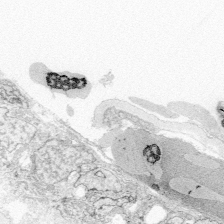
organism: Zebrafish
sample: Whole-Brain